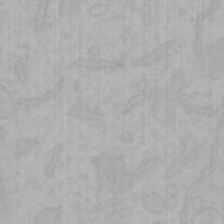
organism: Mouse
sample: Choroid plexus